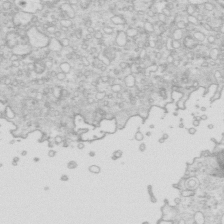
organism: Mouse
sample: Multiciliated cells